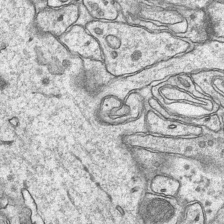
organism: Mouse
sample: CA1 Hippocampus